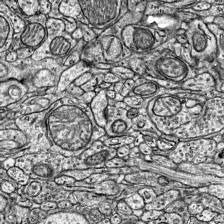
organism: Mouse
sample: Visual Cortex